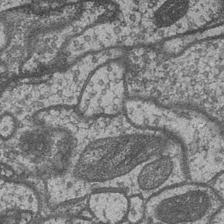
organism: Drosophila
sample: Optic medulla